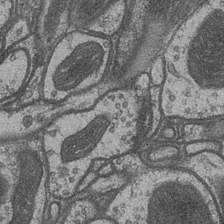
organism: Drosophila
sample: Optic medulla